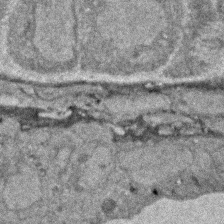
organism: Zebrafish